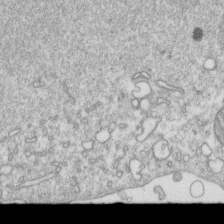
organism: Mouse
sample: Activated OT-1 CD8+ T cells